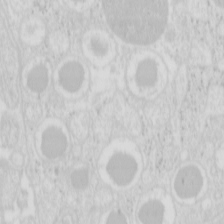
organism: Mouse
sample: Pancreas